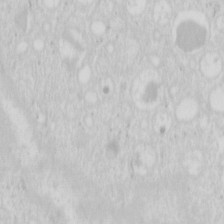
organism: Mouse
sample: Pancreas